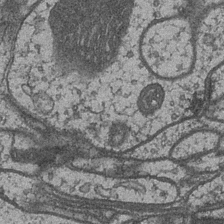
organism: Drosophila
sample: Optic medulla